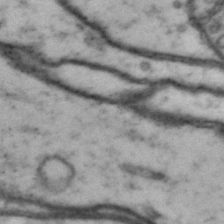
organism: Drosophila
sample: Brain